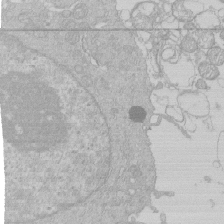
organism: Human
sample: Macrophage cells